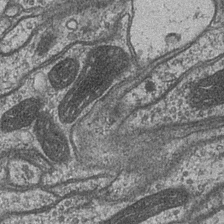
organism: Drosophila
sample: Optic medulla